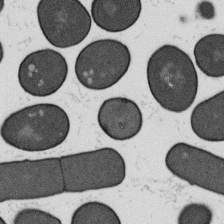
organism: B. subtilis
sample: Bacterial spore